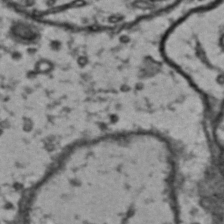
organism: Drosophila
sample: Brain